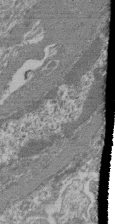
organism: Mouse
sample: Glomerulus